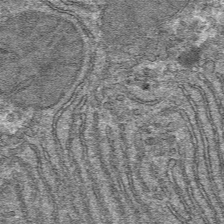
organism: Mouse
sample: Mouse hepatocytes